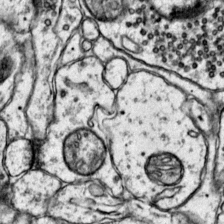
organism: Mouse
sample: Primary visual cortex